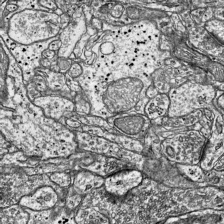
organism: Mouse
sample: Visual Cortex